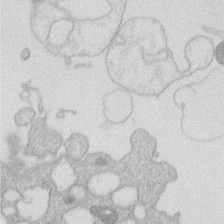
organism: Human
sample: Macrophage cells